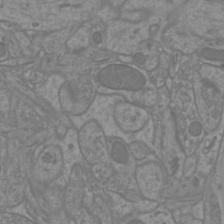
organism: Mouse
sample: Cortical neurons